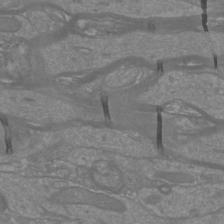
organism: Mouse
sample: Cortical neurons